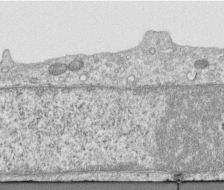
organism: Human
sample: Centriole in RPE cells